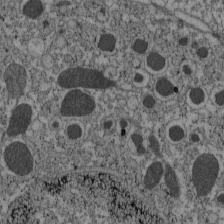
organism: C57BL Mouse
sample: Pancreatic islet